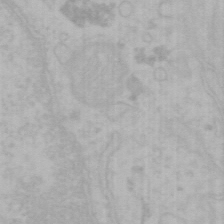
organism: Mouse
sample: Choroid plexus